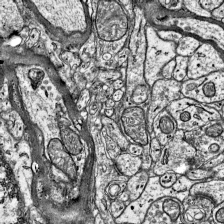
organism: Mouse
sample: Visual Cortex